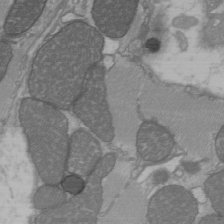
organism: C57BL Mouse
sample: Heart